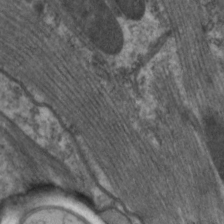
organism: C. elegans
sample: Pharynx